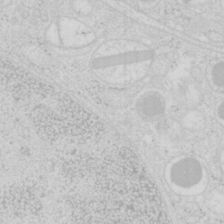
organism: Mouse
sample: Pancreas